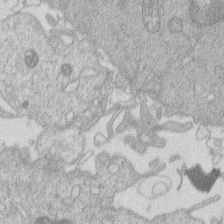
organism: Human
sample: Macrophage cells